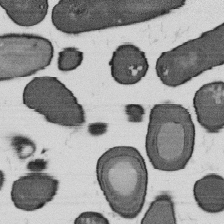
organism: B. subtilis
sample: Bacterial spore